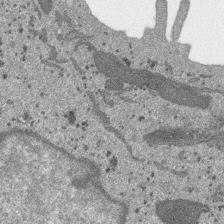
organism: Human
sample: Lung epithelial cells infected with SARS-CoV-2